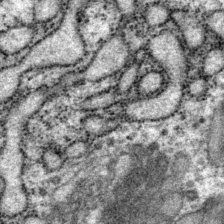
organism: P. pacificus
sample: Pharynx